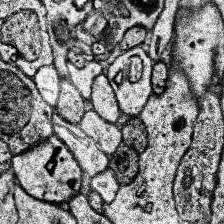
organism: Human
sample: Temporal Lobe